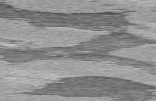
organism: C57BL Mouse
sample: Heart